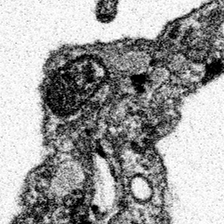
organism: Spongilla lacustris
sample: Neuroid cell